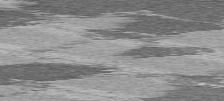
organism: C57BL Mouse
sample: Heart